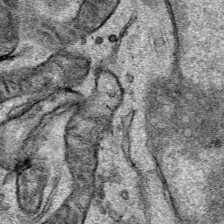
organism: Human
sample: Mitochondria in HCT116 cells